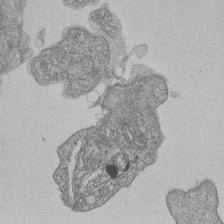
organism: Human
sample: MDA-MB-231 cells